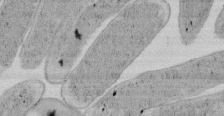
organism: E. coli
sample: Bacterial nucleoid